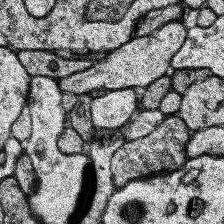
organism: Human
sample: Temporal Lobe